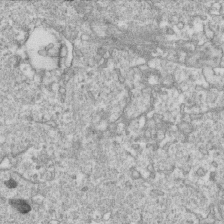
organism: Mouse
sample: Activated OT-1 CD8+ T cells